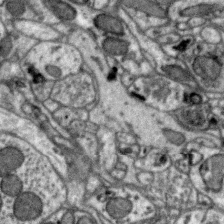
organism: Zebra finch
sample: Brain